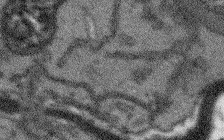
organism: Arabidopsis thaliana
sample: Root tip